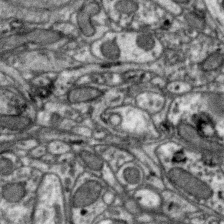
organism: Zebra finch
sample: Brain